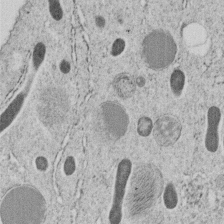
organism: C. elegans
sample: C. elegans embryo early stage